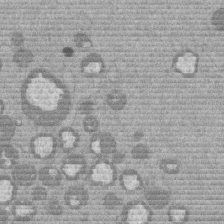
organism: Mouse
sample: Dividing mouse embryo 1 cell stage